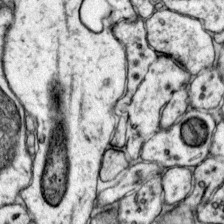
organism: Mouse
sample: Primary visual cortex